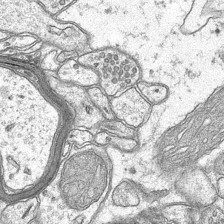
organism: Mouse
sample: CA1 Hippocampus